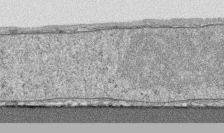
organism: Human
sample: CRL-1474